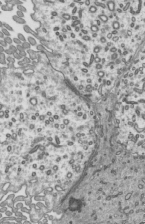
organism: Mouse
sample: Mouse epididymis efferent ductule cilia